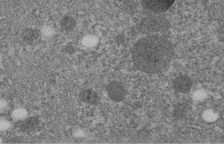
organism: C. elegans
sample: C. elegans embryo early stage